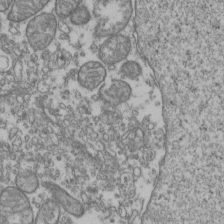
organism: Human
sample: Activated Jurkat CD4+ T cells